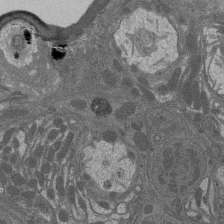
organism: Drosophila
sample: Antenna